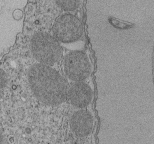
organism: Tetrahymena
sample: Cilia in tetrahymena